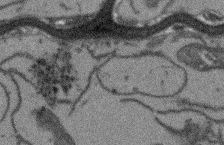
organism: Arabidopsis thaliana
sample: Root tip